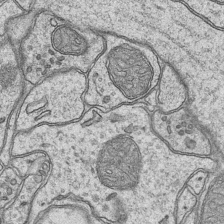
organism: Mouse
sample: CA1 Hippocampus